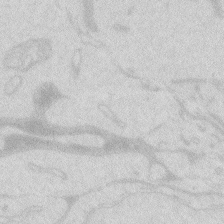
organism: Zebrafish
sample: Macrophage